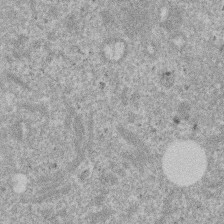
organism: Mouse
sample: Dividing mouse embryo 1 cell stage